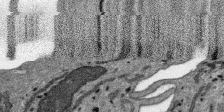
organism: Human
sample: Lung epithelial cells, uninfected (mock) control